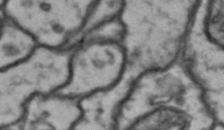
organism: Drosophila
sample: Brain